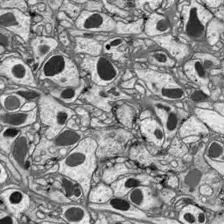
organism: Drosophila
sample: Optic lobe